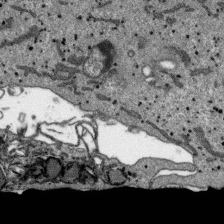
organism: Human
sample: Lung epithelial cells, uninfected (mock) control